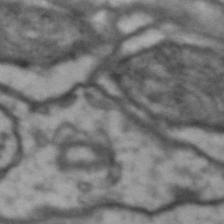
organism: Drosophila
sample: Brain